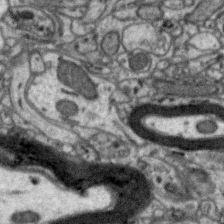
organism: Zebra finch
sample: Brain